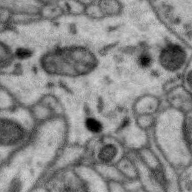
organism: Zebra finch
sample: Brain